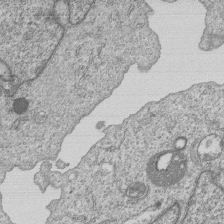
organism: Human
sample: MDA-MB-231 cells